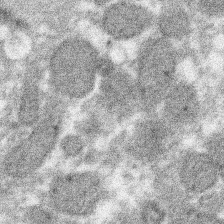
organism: Xenopus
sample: Cilia; centrioles in frog embryo cells